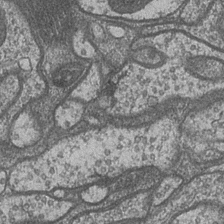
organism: Drosophila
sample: Optic medulla